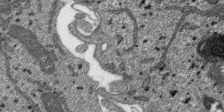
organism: Human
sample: Lung epithelial cells infected with SARS-CoV-2